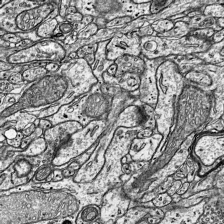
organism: Mouse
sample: Visual Cortex